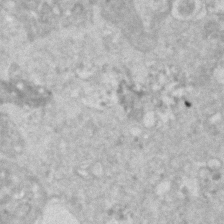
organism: Human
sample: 1205lu cells